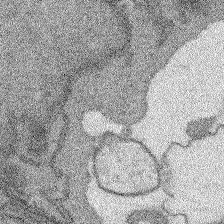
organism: Human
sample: HeLa cells